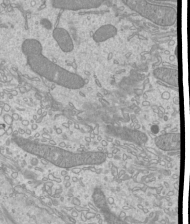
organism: Mouse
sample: Cilia; mouse epididymis